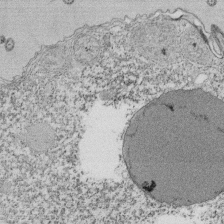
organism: Tetrahymena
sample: Cilia in tetrahymena